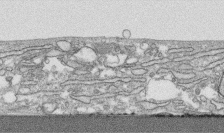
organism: Human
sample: CRL-1474